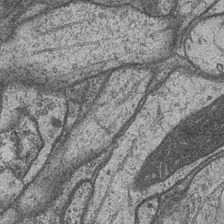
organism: Drosophila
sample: Optic medulla